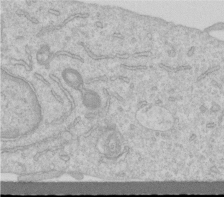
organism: Human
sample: Centriole in RPE cells